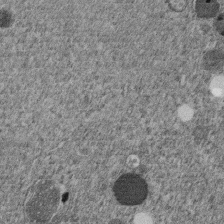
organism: C. elegans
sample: C. elegans embryo early stage